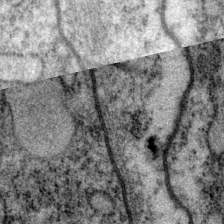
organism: P. pacificus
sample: Pharynx